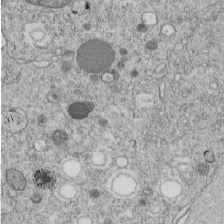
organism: C. elegans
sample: C. elegans embryo early stage